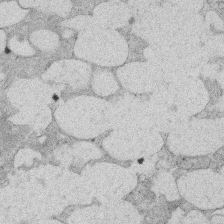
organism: Rat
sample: Salivary granule